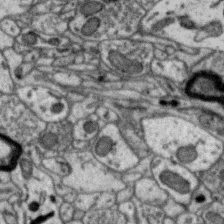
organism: Zebra finch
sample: Brain